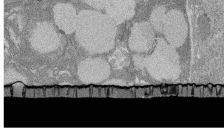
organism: Rat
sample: Salivary granule